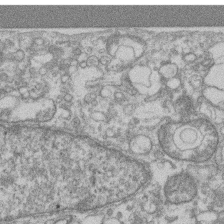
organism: Mouse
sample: T cell stromal cell synapse